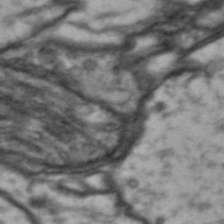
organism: Drosophila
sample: Brain